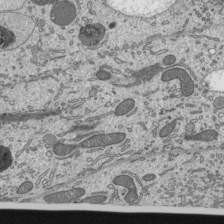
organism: Mouse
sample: Mouse epididymis efferent ductule cilia